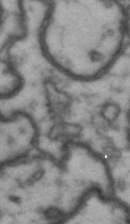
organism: Drosophila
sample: Brain